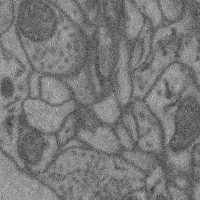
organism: Mouse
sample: Cerebral cortex